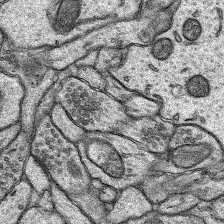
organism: Rat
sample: Hippocampus